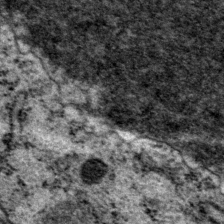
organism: P. pacificus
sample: Pharynx